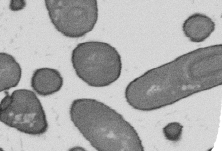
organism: B. subtilis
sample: Bacterial spore